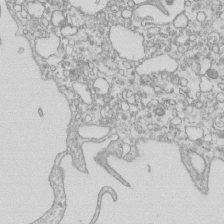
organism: Mouse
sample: Macrophages